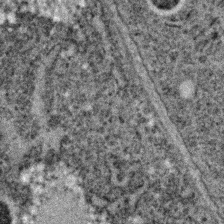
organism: C. elegans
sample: C. elegans embryo